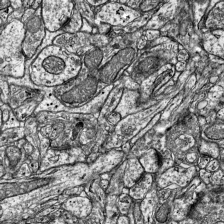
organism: Mouse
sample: Visual Cortex